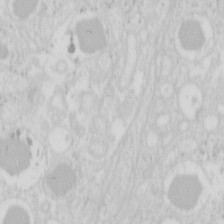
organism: Mouse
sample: Pancreas